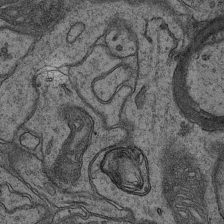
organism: Mouse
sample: CA1 Hippocampus